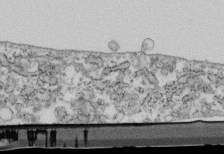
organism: Mouse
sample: Cilia; retinal pigment epithelium